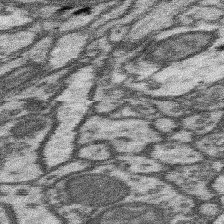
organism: Mouse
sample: Somatosensory cortex neuropil